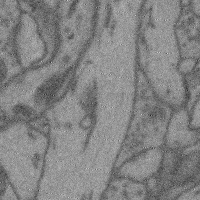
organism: Mouse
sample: Cerebral cortex